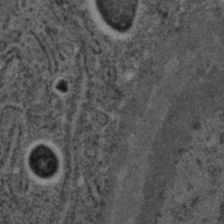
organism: C. elegans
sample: C. elegans embryo